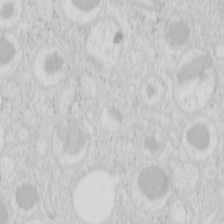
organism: Mouse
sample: Pancreas